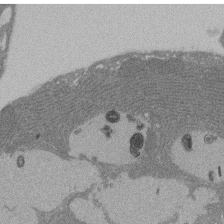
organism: Rat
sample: Salivary granule